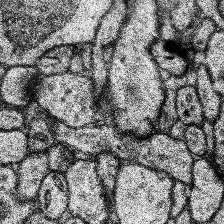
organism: Human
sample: Temporal Lobe